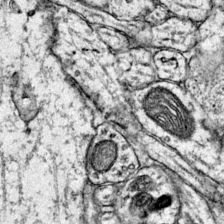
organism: Mouse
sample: Primary visual cortex